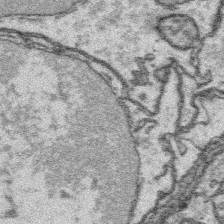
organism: Platynereis dumerilii